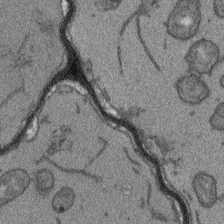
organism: Arabidopsis thaliana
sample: Root tip